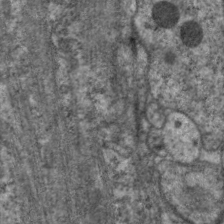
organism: C. elegans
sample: Pharynx